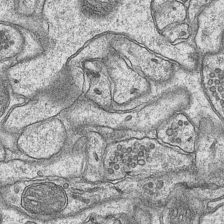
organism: Mouse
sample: CA1 Hippocampus